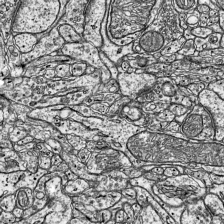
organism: Mouse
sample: Visual Cortex